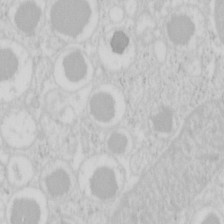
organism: Mouse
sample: Pancreas